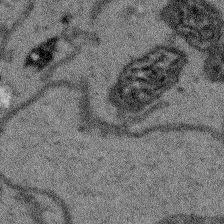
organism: Arabidopsis thaliana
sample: Root tip